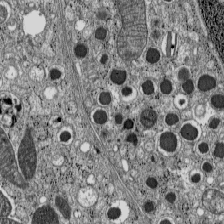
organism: C57BL Mouse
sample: Pancreatic islet